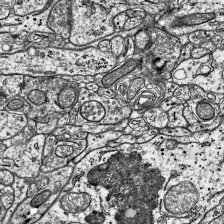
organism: Mouse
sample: Visual Cortex